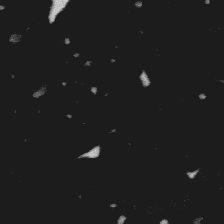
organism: Platynereis dumerilii